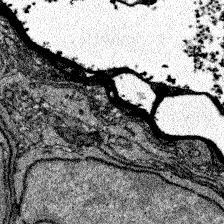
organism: Zebrafish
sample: Larval olfactory bulb